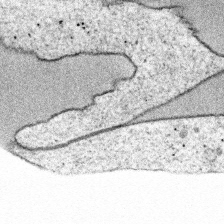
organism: Human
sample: HeLa cells